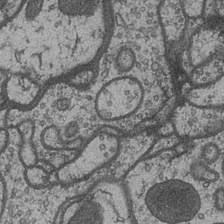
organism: Drosophila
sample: Optic medulla